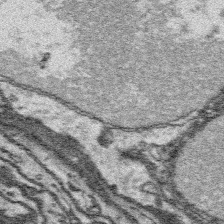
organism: Platynereis dumerilii